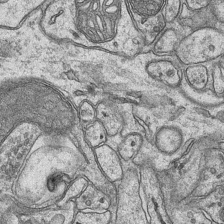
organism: Mouse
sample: CA1 Hippocampus